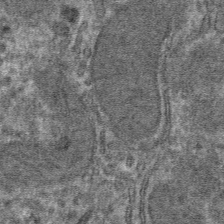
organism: Mouse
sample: Mouse hepatocytes